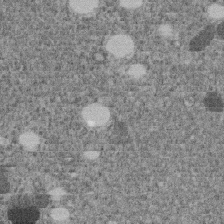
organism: C. elegans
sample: C. elegans embryo early stage